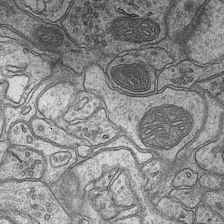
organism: Mouse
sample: CA1 Hippocampus